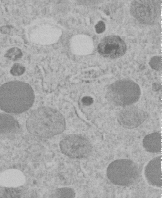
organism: C. elegans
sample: C. elegans embryo early stage